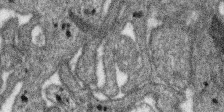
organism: Human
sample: Lung epithelial cells infected with SARS-CoV-2